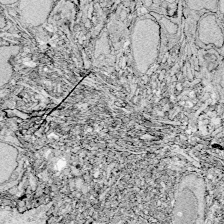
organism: Zebrafish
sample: Whole-Brain